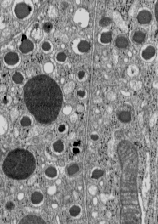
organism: C57BL Mouse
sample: Pancreatic islet